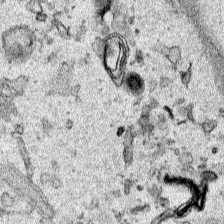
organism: Human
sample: Mitochondria in HCT116 cells